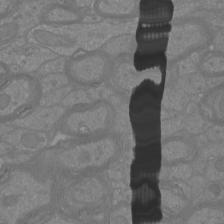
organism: Mouse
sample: Cortical neurons